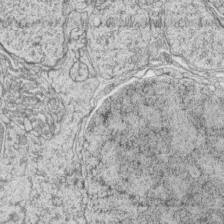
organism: Zebrafish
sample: synaptic ribbons in rod cells and cone cells